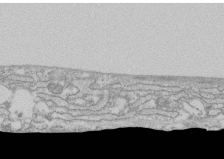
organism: Human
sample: CRL-1474